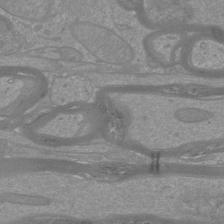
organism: Mouse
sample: Cortical neurons